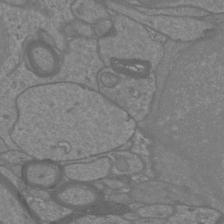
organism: Mouse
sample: Cortical neurons